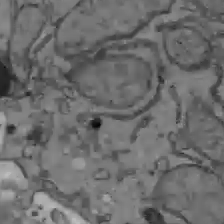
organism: C57BL Mouse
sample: Liver